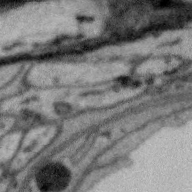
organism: Zebra finch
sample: Brain